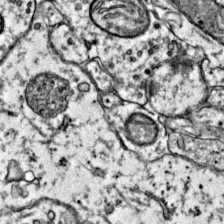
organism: Mouse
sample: Primary visual cortex